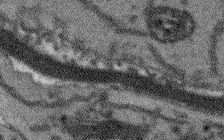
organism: Arabidopsis thaliana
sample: Root tip